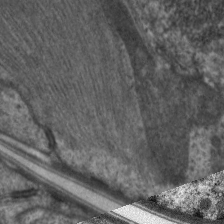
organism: C. elegans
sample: Pharynx